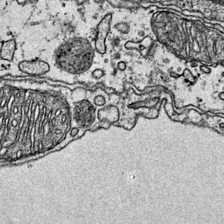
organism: Mouse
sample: Primary visual cortex